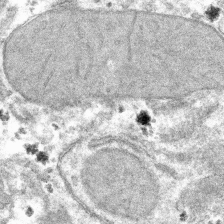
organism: Mouse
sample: Mouse hepatocytes